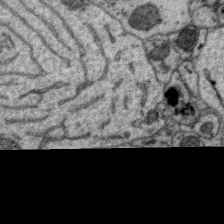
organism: Zebra finch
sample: Brain